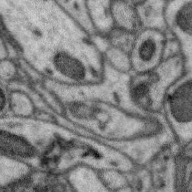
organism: Zebra finch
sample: Brain